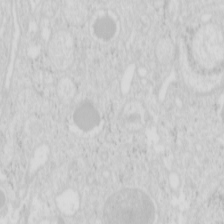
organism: Mouse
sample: Pancreas